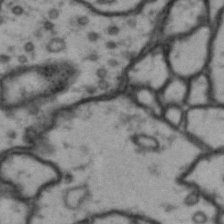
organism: Drosophila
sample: Brain